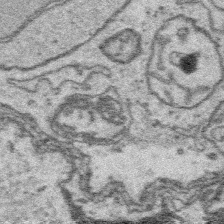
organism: Platynereis dumerilii